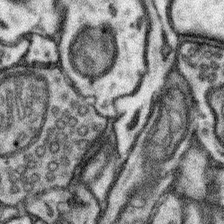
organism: Mouse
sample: Somatosensory cortex neuropil